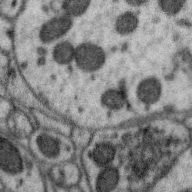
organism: Zebra finch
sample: Brain